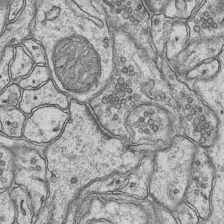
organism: Mouse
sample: CA1 Hippocampus